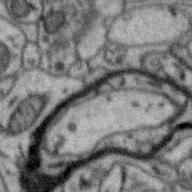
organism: Zebra finch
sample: Brain